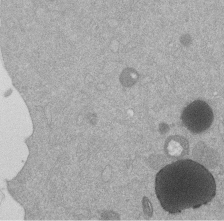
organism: Mouse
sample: Dividing mouse embryo 1 cell stage